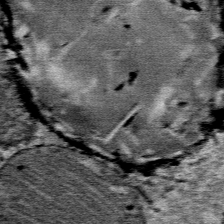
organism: Mouse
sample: Mouse Salivary gland